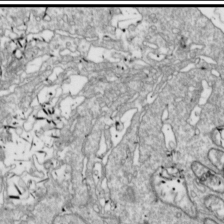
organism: Drosophila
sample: Cell division; meiosis; drosophila spermatocytes